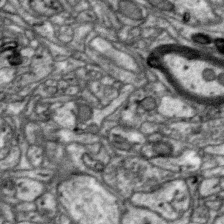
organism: Zebra finch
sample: Brain